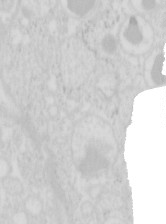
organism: Mouse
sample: Pancreas